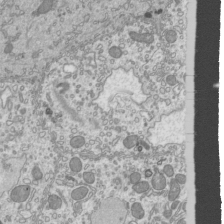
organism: Mouse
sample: Cilia; mouse epididymis